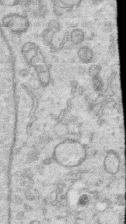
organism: Human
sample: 1205lu cells